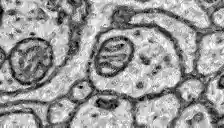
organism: Zebrafish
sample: Brain